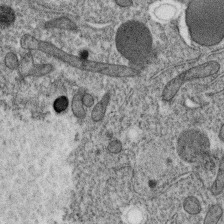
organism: C. elegans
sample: C. elegans oocyte; sperm cells